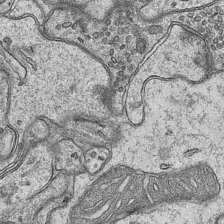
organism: Mouse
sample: CA1 Hippocampus